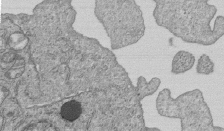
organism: Human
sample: MDA-MB-231 cells